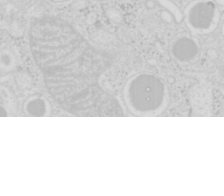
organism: Mouse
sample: Pancreas